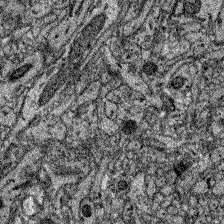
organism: Zebrafish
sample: Larval olfactory bulb